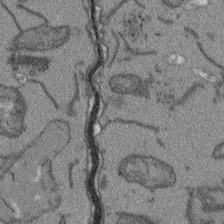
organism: Arabidopsis thaliana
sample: Root tip